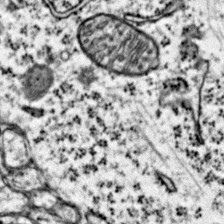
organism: Mouse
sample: Primary visual cortex